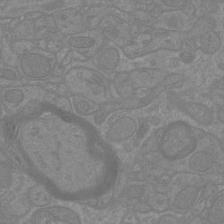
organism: Mouse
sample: Cortical neurons